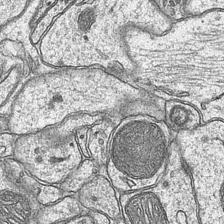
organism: Mouse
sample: CA1 Hippocampus